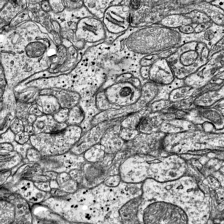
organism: Mouse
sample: Visual Cortex